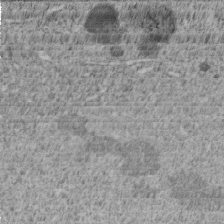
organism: C. elegans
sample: C. elegans embryo early stage